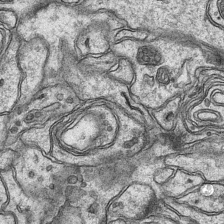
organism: Mouse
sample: CA1 Hippocampus